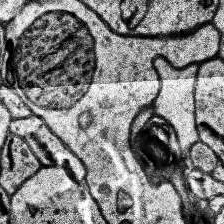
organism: Human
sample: Temporal Lobe